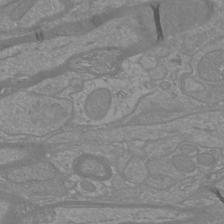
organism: Mouse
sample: Cortical neurons